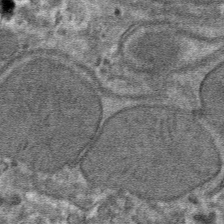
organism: Mouse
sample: Mouse hepatocytes